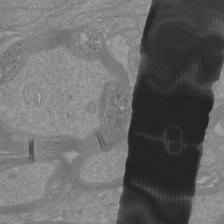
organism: Mouse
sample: Cortical neurons